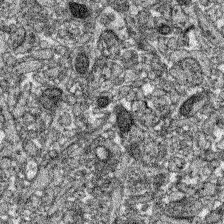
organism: Zebrafish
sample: Larval olfactory bulb